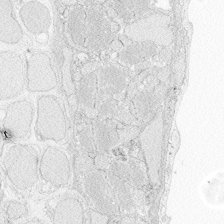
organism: Zebrafish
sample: Whole-Brain